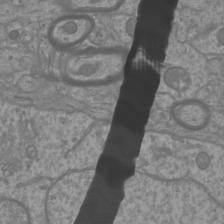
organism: Mouse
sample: Cortical neurons